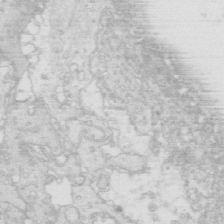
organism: Mouse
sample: Multiciliated cells